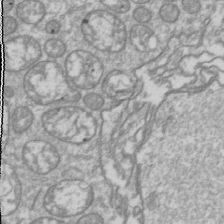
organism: Drosophila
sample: Cell division; meiosis; drosophila spermatocytes